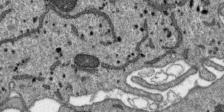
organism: Human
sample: Lung epithelial cells, uninfected (mock) control